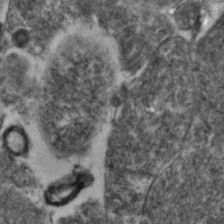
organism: Zebrafish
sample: Zebrafish embryo